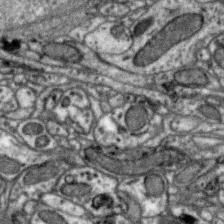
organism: Zebra finch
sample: Brain